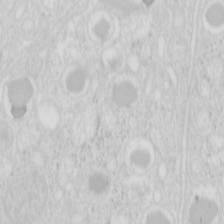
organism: Mouse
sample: Pancreas